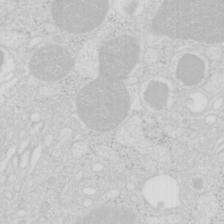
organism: Mouse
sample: Pancreas